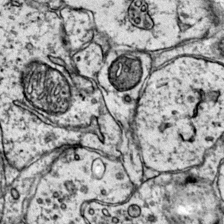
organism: Mouse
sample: Primary visual cortex